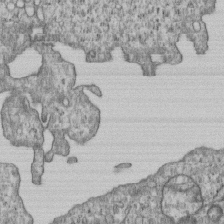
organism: Human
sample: MDA-MB-231 cells